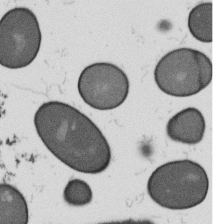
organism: B. subtilis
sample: Bacterial spore